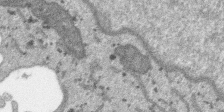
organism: Human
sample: Lung epithelial cells infected with SARS-CoV-2